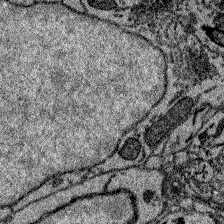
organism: Zebrafish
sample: Larval olfactory bulb